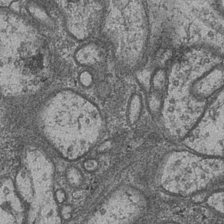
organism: Drosophila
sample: Optic medulla